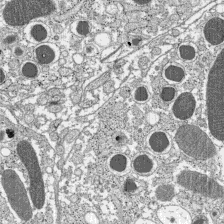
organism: C57BL Mouse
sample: Pancreatic islet